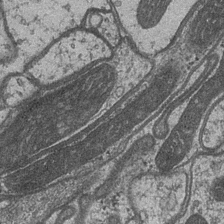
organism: Drosophila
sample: Optic medulla